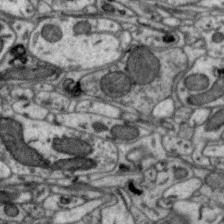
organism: Zebra finch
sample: Brain